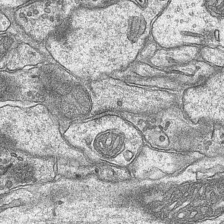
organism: Mouse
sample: CA1 Hippocampus